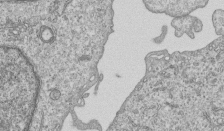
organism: Human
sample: MDA-MB-231 cells